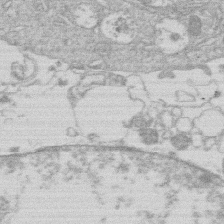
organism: Human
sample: Macrophage cells